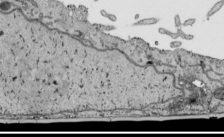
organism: Human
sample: Mitochondria in HCT116 cells